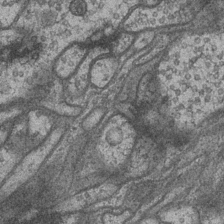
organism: Drosophila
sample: Optic medulla